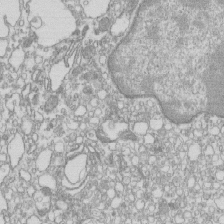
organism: Mouse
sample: Macrophages